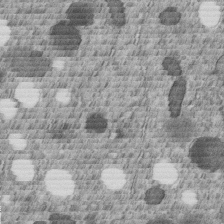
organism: C. elegans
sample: C. elegans embryo early stage